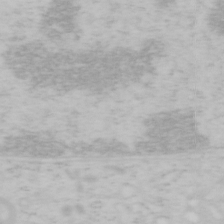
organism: Mouse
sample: OT-I killer T cells with ID8 ovarian cancer cells